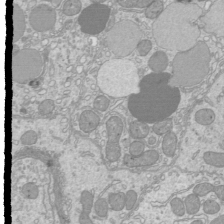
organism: Mouse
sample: Cilia; mouse epididymis